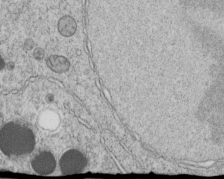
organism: C. elegans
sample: C. elegans embryo early stage